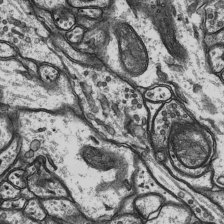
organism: Rat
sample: Hippocampus